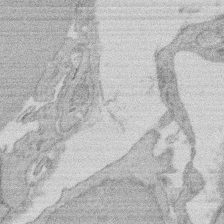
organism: Rat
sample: Salivary granule